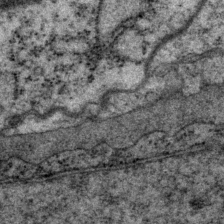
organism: P. pacificus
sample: Pharynx